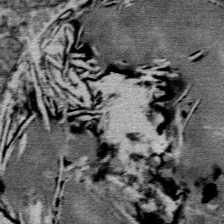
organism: Mouse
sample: Mouse Salivary gland